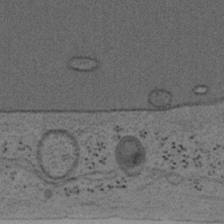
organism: Human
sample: HeLa cells